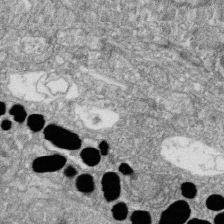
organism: Zebrafish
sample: Cilia; retinal pigment epithelium